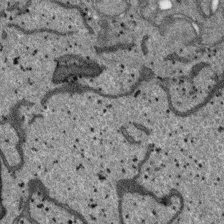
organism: Human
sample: Lung epithelial cells, uninfected (mock) control